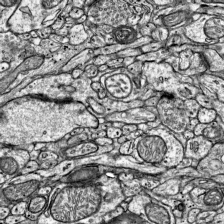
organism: Mouse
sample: Visual Cortex